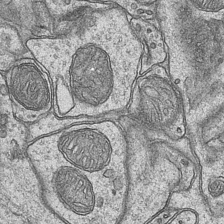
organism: Mouse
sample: CA1 Hippocampus